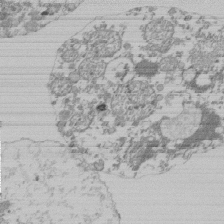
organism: Mouse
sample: Activated Pmel transgenic CD8+ T Cells